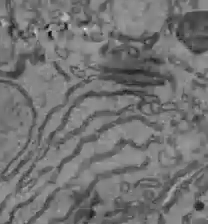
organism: C57BL Mouse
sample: Liver